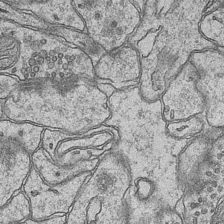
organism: Mouse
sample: CA1 Hippocampus